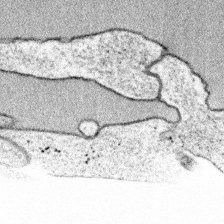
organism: Human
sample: HeLa cells